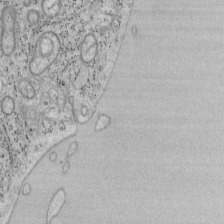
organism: Mouse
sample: OT-I killer T cells with ID8 ovarian cancer cells